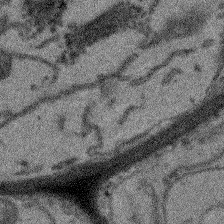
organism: Arabidopsis thaliana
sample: Root tip